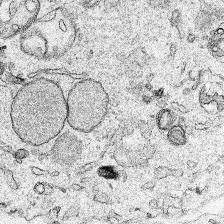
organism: Human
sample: Mitochondria in HCT116 cells